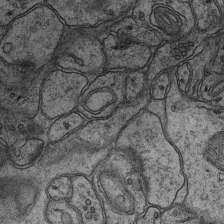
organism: Mouse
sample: CA1 Hippocampus